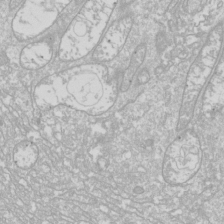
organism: Drosophila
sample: Cell division; meiosis; drosophila spermatocytes